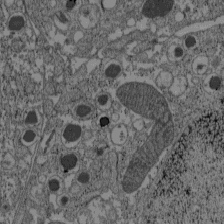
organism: C57BL Mouse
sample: Pancreatic islet